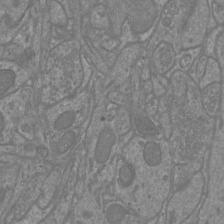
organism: Mouse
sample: Cortical neurons